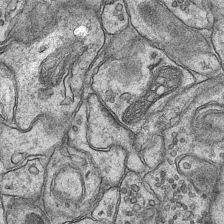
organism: Mouse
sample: CA1 Hippocampus